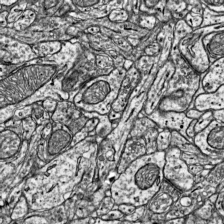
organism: Mouse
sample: Visual Cortex